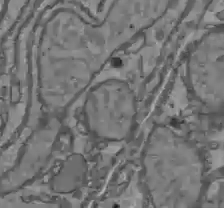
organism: C57BL Mouse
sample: Liver